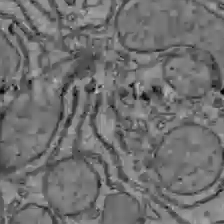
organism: C57BL Mouse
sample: Liver